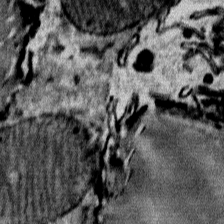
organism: Mouse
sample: Mouse Salivary gland